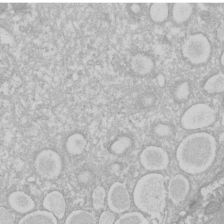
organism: Xenopus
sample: Cilia; centrioles in frog embryo cells